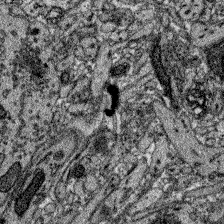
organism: Zebrafish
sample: Larval olfactory bulb